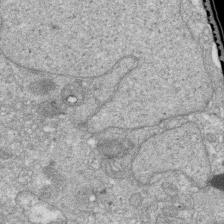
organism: Human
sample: HeLa cell HIV synapse